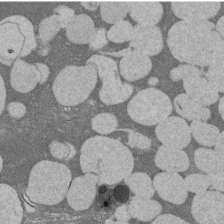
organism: Rat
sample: Salivary granule